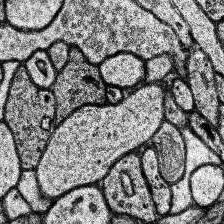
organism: Human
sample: Temporal Lobe